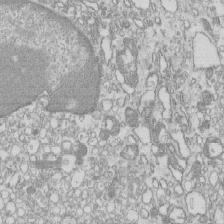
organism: Mouse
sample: Macrophages